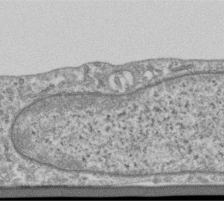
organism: Human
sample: Centriole in RPE cells